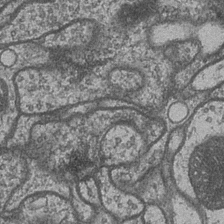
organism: Drosophila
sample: Optic medulla